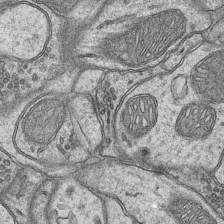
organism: Mouse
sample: CA1 Hippocampus